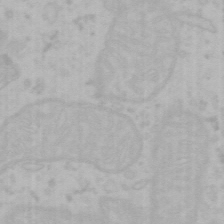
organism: Mouse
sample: Choroid plexus